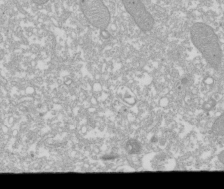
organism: Xenopus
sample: Cilia; centrioles in frog embryo cells